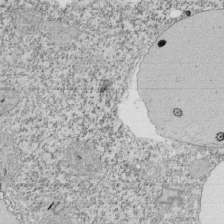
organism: Tetrahymena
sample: Cilia in tetrahymena